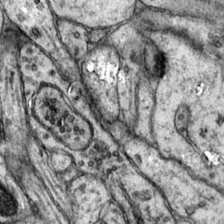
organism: Mouse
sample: Primary visual cortex